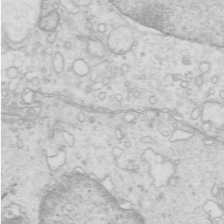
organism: Mouse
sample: Multiciliated cells